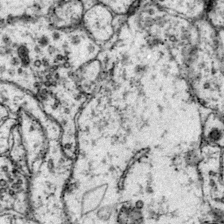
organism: Mouse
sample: Primary visual cortex